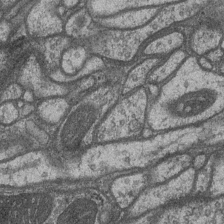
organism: Drosophila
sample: Optic medulla